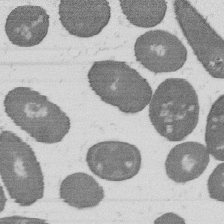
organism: B. subtilis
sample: Bacterial spore